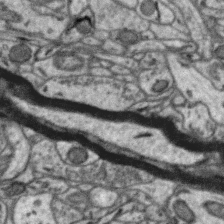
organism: Zebra finch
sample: Brain